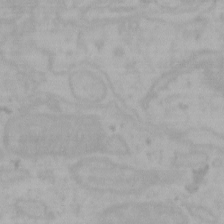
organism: Mouse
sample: Choroid plexus